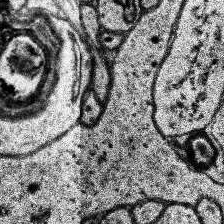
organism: Human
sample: Temporal Lobe